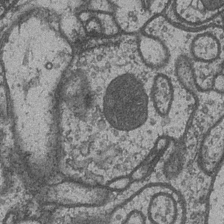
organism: Drosophila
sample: Optic medulla